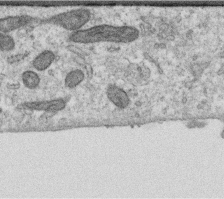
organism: Human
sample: Centriole in RPE cells